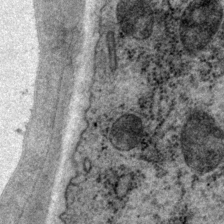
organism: P. pacificus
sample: Pharynx